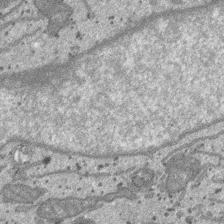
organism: Human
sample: Lung epithelial cells infected with SARS-CoV-2